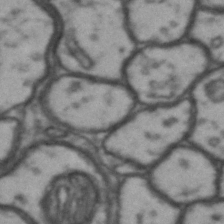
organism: Drosophila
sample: Brain